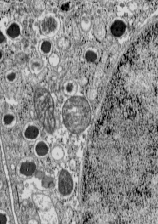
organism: C57BL Mouse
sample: Pancreatic islet